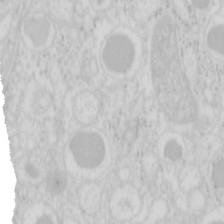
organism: Mouse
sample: Pancreas